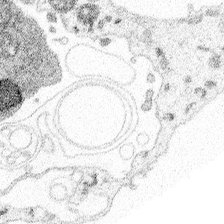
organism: Spongilla lacustris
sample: Multiple